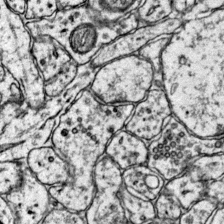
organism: Mouse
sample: Primary visual cortex